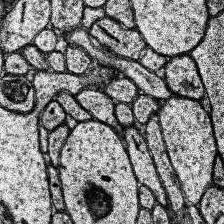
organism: Human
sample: Temporal Lobe